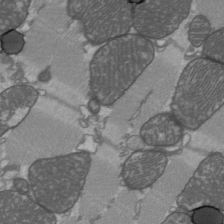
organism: C57BL Mouse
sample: Heart